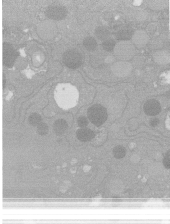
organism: C. elegans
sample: C. elegans oocyte; sperm cells